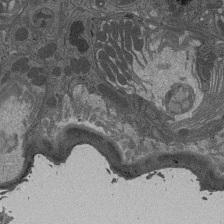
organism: Drosophila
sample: Antenna